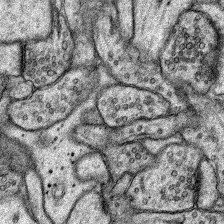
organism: Rat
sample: Hippocampus